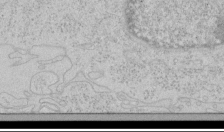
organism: Human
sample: Mitochondria in HCT116 cells